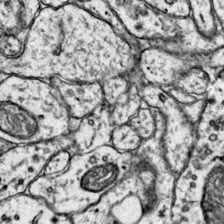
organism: Mouse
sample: Primary visual cortex